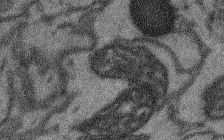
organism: Arabidopsis thaliana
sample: Root tip